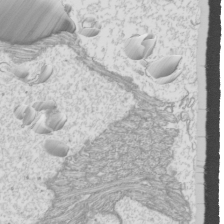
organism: Mouse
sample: Cilia; mouse epididymis